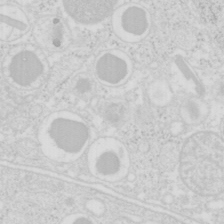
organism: Mouse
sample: Pancreas